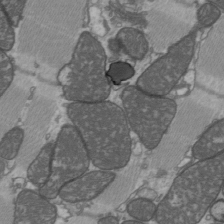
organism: C57BL Mouse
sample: Heart